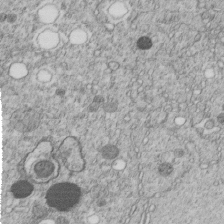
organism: C. elegans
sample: C. elegans embryo early stage